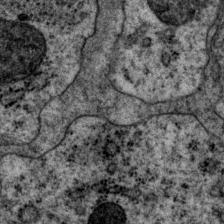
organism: P. pacificus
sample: Pharynx